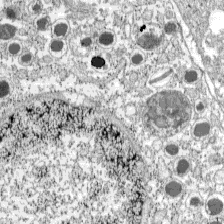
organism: C57BL Mouse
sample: Pancreatic islet